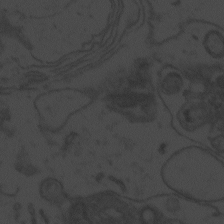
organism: Zebrafish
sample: Macrophage infected with Toxoplasma gondii